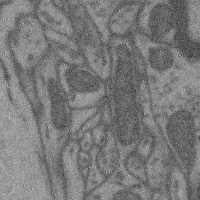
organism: Mouse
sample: Cerebral cortex